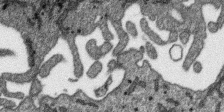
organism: Human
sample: Lung epithelial cells infected with SARS-CoV-2